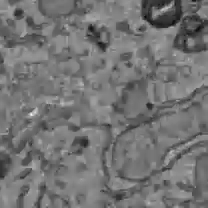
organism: C57BL Mouse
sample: Liver